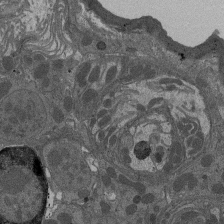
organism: Drosophila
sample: Antenna